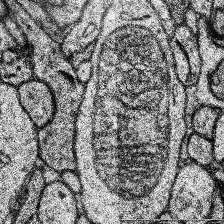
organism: Human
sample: Temporal Lobe